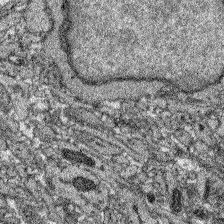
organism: Zebrafish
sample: Larval olfactory bulb